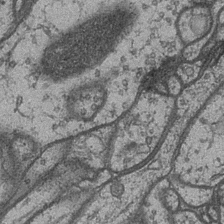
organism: Drosophila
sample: Optic medulla